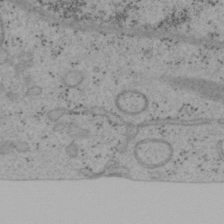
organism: Human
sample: HeLa cells